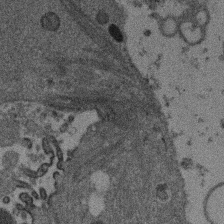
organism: Mouse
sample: Dividing mouse embryo 1 cell stage